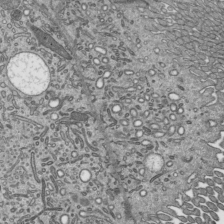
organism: Mouse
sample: Mouse epididymis efferent ductule cilia